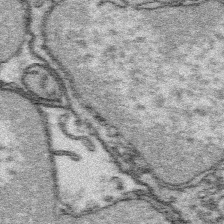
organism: Platynereis dumerilii